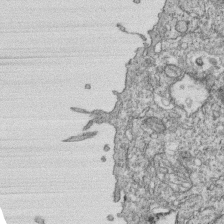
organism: Human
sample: HeLa cell HIV synapse